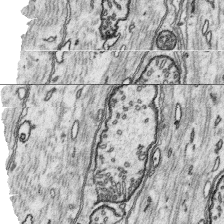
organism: Platynereis dumerilii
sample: Parapodia